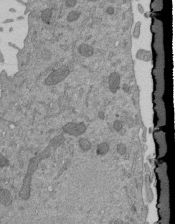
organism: Mouse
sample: ED-1 cell nuclei; centrioles